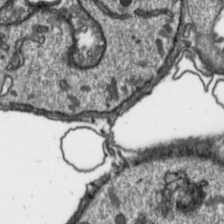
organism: Toxoplasma gondii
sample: Parasites in a vacuole inside a host cell